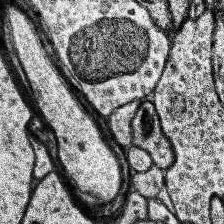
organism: Human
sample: Temporal Lobe